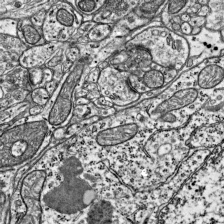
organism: Mouse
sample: Visual Cortex